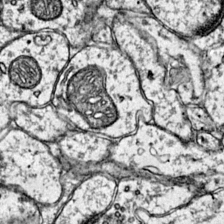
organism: Mouse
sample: Primary visual cortex